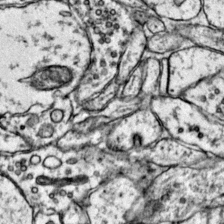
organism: Mouse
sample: Primary visual cortex